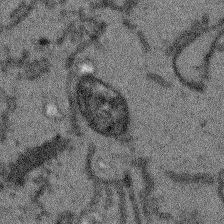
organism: Arabidopsis thaliana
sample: Root tip